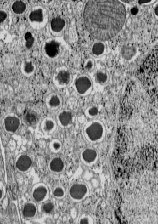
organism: C57BL Mouse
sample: Pancreatic islet